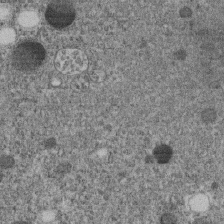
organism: C. elegans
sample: C. elegans embryo early stage